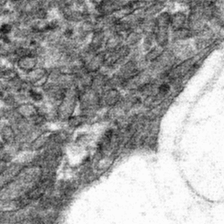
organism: Mouse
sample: Mouse hepatocytes